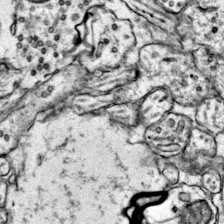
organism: Mouse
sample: Primary visual cortex